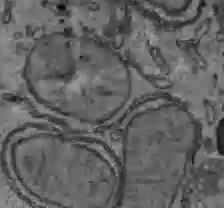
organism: C57BL Mouse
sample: Liver